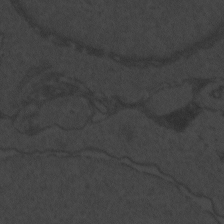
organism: Zebrafish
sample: Macrophage infected with Toxoplasma gondii